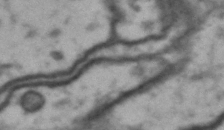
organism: Drosophila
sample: Brain